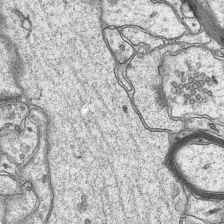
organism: Mouse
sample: CA1 Hippocampus